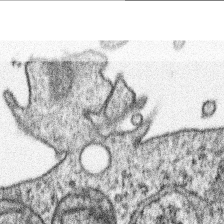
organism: Human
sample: HeLa cells